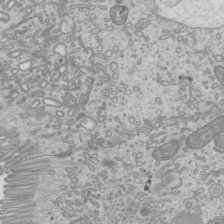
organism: Mouse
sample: Cilia; mouse epididymis